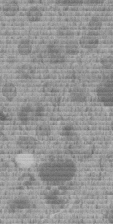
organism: C. elegans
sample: C. elegans embryo early stage